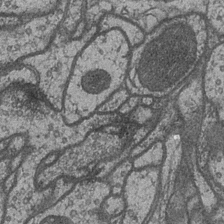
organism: Drosophila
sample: Optic medulla